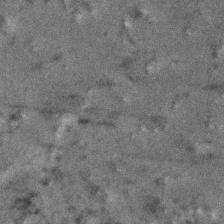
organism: Human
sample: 1205lu cells